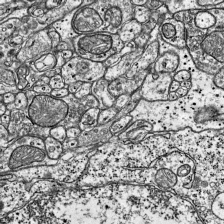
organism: Mouse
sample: Visual Cortex